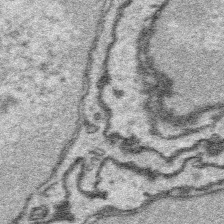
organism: Platynereis dumerilii